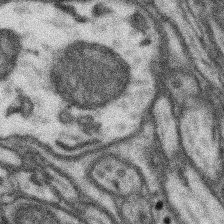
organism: Mouse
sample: Somatosensory cortex neuropil